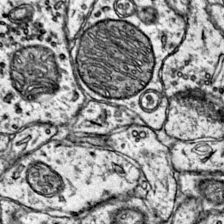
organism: Mouse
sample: Primary visual cortex